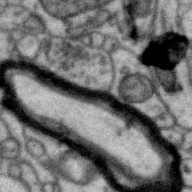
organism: Zebra finch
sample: Brain